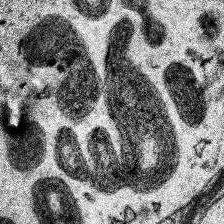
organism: Human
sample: Temporal Lobe